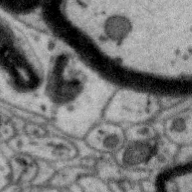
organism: Zebra finch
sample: Brain